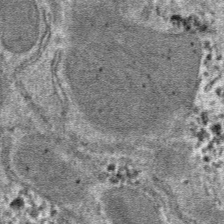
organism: Mouse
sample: Mouse hepatocytes